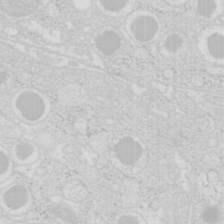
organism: Mouse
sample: Pancreas